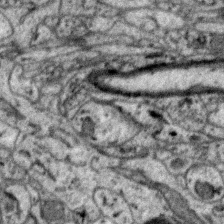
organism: Zebra finch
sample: Brain